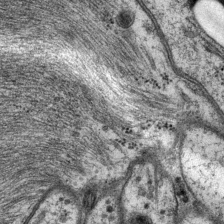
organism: P. pacificus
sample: Pharynx